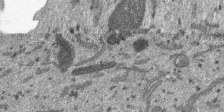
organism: Human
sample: Lung epithelial cells infected with SARS-CoV-2